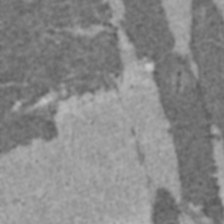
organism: C57BL Mouse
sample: Heart